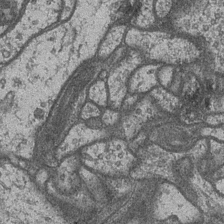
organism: Drosophila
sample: Optic medulla